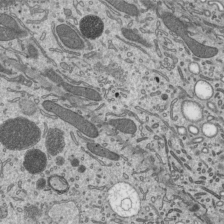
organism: Mouse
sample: Mouse epididymis efferent ductule cilia